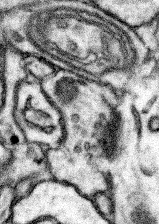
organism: Mouse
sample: Somatosensory cortex neuropil